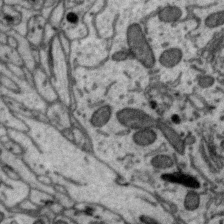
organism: Zebra finch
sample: Brain